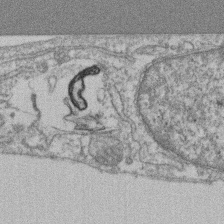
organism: Mouse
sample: T cell stromal cell synapse